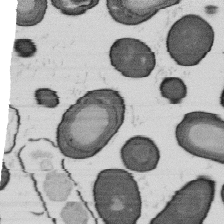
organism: B. subtilis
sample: Bacterial spore